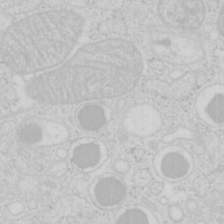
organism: Mouse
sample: Pancreas